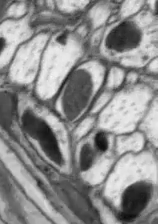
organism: Drosophila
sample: Optic lobe